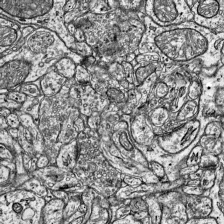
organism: Mouse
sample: Visual Cortex